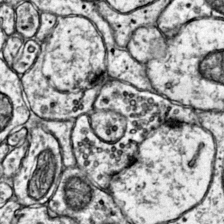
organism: Mouse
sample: Primary visual cortex